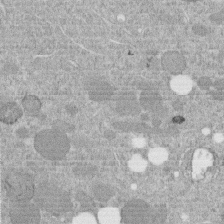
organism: C. elegans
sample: C. elegans embryo early stage